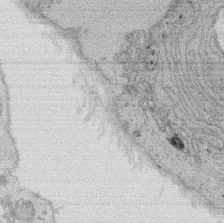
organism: Rat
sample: Salivary granule